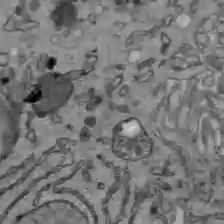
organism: C57BL Mouse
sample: Liver